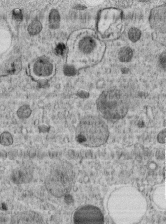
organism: C. elegans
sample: C. elegans embryo early stage